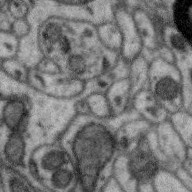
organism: Zebra finch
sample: Brain